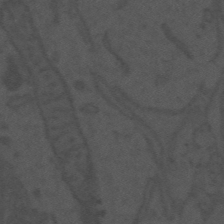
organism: Mouse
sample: Suprachiasmatic nucleus